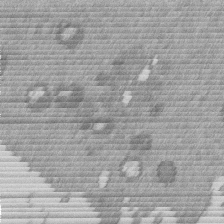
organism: Mouse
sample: Dividing mouse embryo 1 cell stage